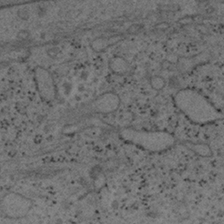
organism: Human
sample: HeLa cells